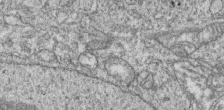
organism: Human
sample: HeLa cell HIV synapse